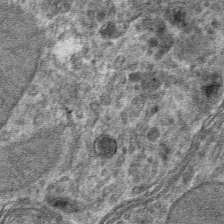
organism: Mouse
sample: Mouse hepatocytes